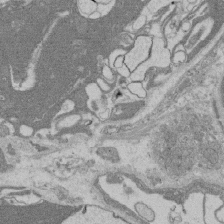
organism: Rat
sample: Salivary granule